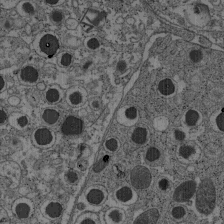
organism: C57BL Mouse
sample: Pancreatic islet